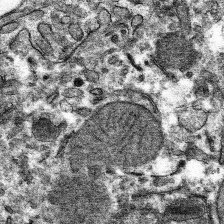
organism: Mouse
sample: Mouse hepatocytes